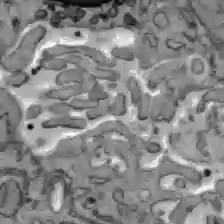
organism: C57BL Mouse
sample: Liver